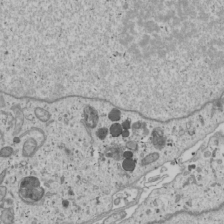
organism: Human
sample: Mitochondria in U2OS cells